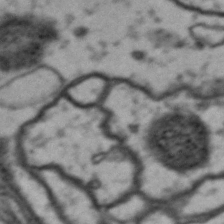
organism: Drosophila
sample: Brain